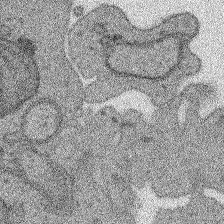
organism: Human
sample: HeLa cells